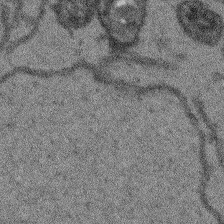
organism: Arabidopsis thaliana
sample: Root tip